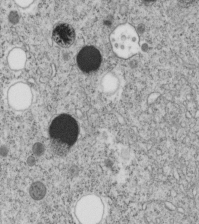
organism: C. elegans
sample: C. elegans embryo early stage